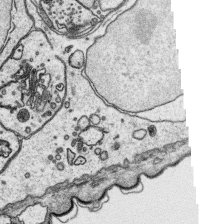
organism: Platynereis dumerilii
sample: Parapodia